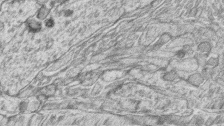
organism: Zebrafish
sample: synaptic ribbons in rod cells and cone cells